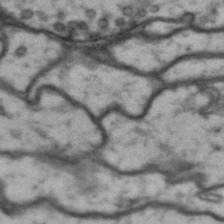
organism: Drosophila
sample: Brain